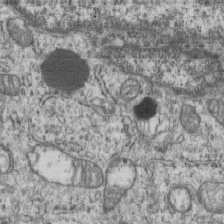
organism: Human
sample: MDA-MB-231 cells